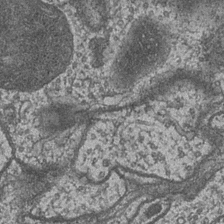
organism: Drosophila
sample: Optic medulla